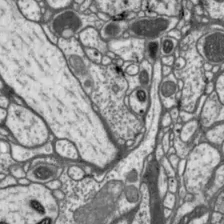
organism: Drosophila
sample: Protocerebral bridge